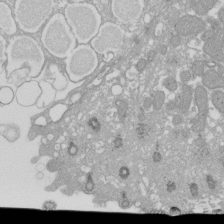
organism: Xenopus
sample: Cilia; centrioles in frog embryo cells